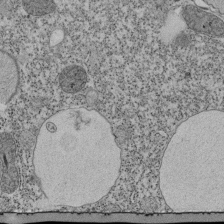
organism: Tetrahymena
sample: Cilia in tetrahymena